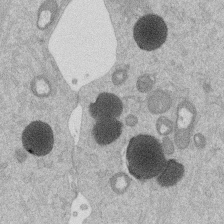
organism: Mouse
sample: Dividing mouse embryo 1 cell stage